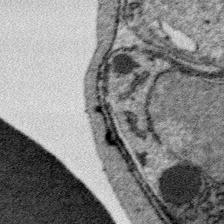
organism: Plasmodium falciparum